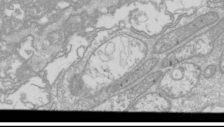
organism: Drosophila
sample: Cell division; meiosis; drosophila spermatocytes